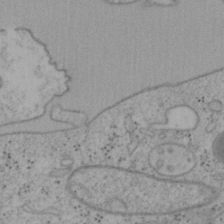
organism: Human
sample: HeLa cells